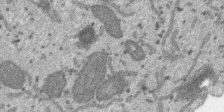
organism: Human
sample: Lung epithelial cells infected with SARS-CoV-2